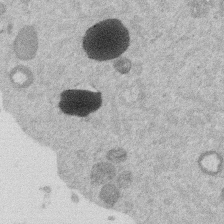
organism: Mouse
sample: Dividing mouse embryo 1 cell stage